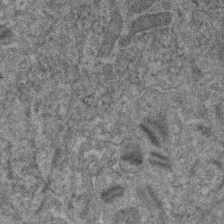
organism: Human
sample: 1205lu cells